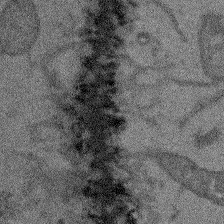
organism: Arabidopsis thaliana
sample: Root tip